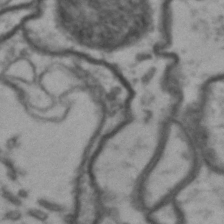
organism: Drosophila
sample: Brain